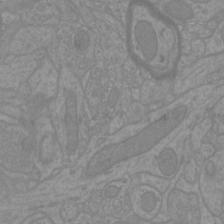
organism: Mouse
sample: Cortical neurons